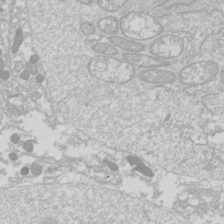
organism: Drosophila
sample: Cell division; meiosis; drosophila spermatocytes